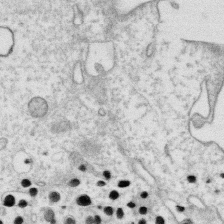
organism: Human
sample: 1205lu cells